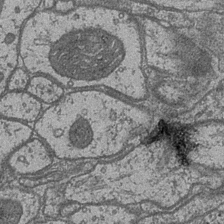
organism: Drosophila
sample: Optic medulla